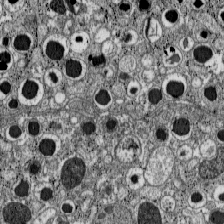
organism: C57BL Mouse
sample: Pancreatic islet